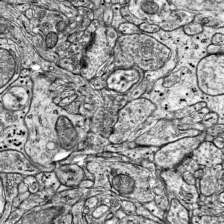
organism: Mouse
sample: Visual Cortex